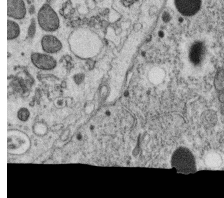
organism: C. elegans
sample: C. elegans oocyte; sperm cells